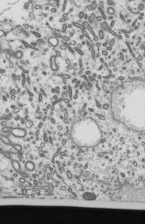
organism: Mouse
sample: Mouse epididymis efferent ductule cilia